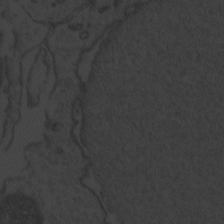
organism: Zebrafish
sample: Macrophage infected with Toxoplasma gondii